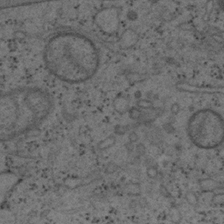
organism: Human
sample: HeLa cells